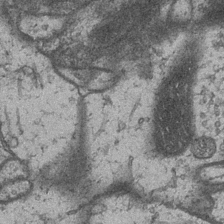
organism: Drosophila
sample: Optic medulla